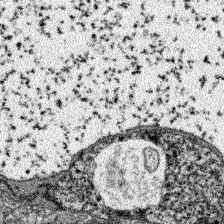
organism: Zebrafish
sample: Larval olfactory bulb